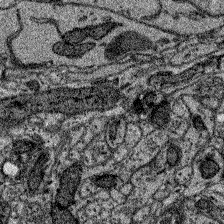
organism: Zebrafish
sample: Larval olfactory bulb